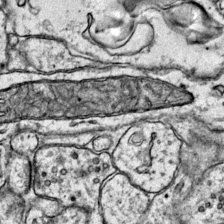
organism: Mouse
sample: Primary visual cortex